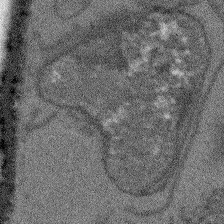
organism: Arabidopsis thaliana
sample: Root tip